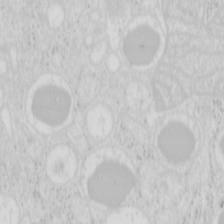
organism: Mouse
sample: Pancreas